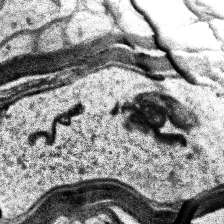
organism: Human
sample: Temporal Lobe